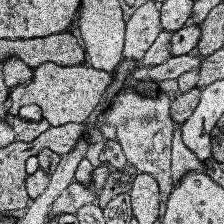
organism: Human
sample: Temporal Lobe